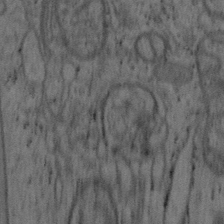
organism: Human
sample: HeLa cells